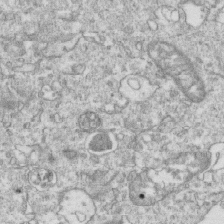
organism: Mouse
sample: Activated OT-1 CD8+ T cells